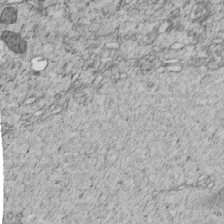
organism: C. elegans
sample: C. elegans embryo early stage